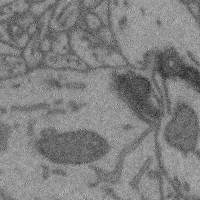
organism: Mouse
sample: Cerebral cortex